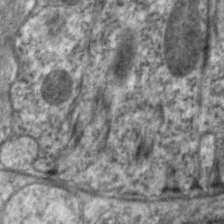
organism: C. elegans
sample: Pharynx